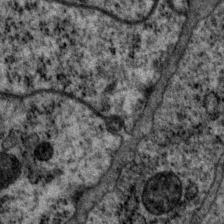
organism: P. pacificus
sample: Pharynx